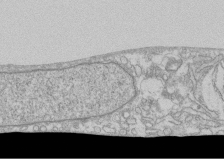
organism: Human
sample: CRL-1474